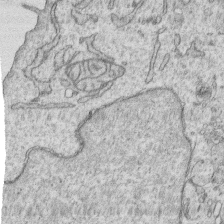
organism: Human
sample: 1205lu cells